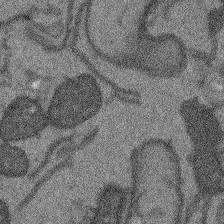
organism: Arabidopsis thaliana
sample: Root tip